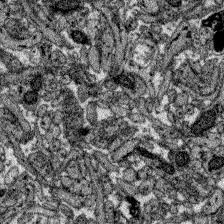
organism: Zebrafish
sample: Larval olfactory bulb